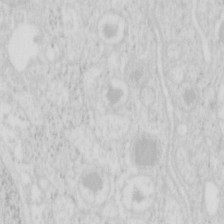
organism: Mouse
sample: Pancreas